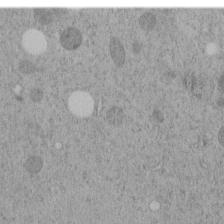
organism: C. elegans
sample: C. elegans embryo early stage